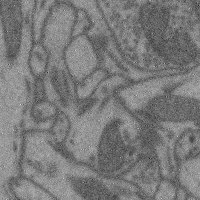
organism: Mouse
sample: Cerebral cortex